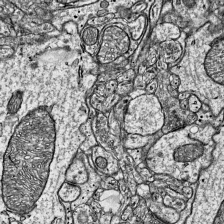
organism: Mouse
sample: Visual Cortex